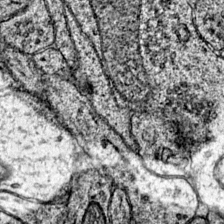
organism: Mouse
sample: Primary visual cortex